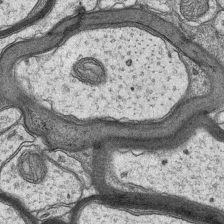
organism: Mouse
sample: CA1 Hippocampus